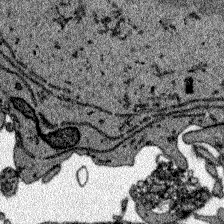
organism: Zebrafish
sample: Larval olfactory bulb